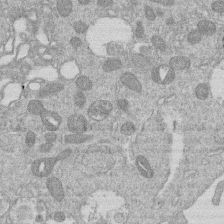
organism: Human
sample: Macrophage cells